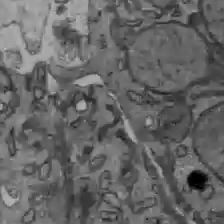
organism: C57BL Mouse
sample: Liver